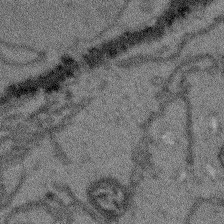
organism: Arabidopsis thaliana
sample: Root tip